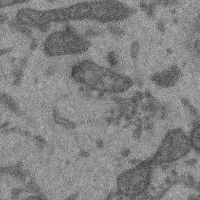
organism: Mouse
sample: Cerebral cortex